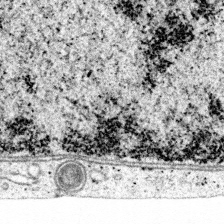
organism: Human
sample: HeLa cells